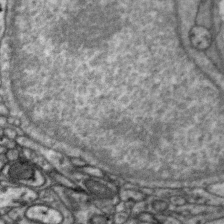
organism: Zebra finch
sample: Brain